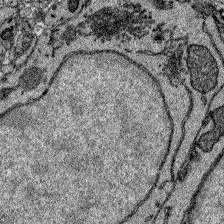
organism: Zebrafish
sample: Larval olfactory bulb